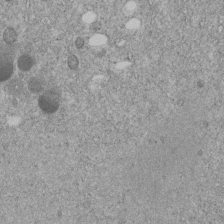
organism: C. elegans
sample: C. elegans embryo early stage